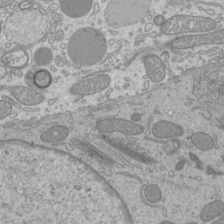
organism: Mouse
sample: Cilia; mouse epididymis